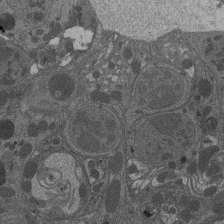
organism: Drosophila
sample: Antenna